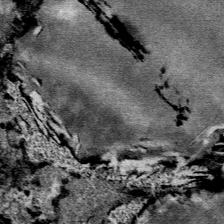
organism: Mouse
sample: Mouse Salivary gland